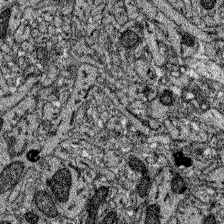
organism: Zebrafish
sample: Larval olfactory bulb